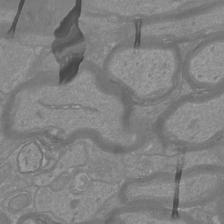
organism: Mouse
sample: Cortical neurons